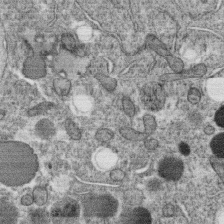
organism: C. elegans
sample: C. elegans oocyte; sperm cells